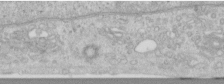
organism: Human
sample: Centriole in RPE cells